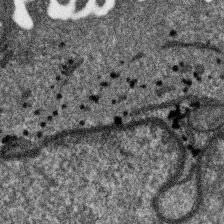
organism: Human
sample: Lung epithelial cells infected with SARS-CoV-2